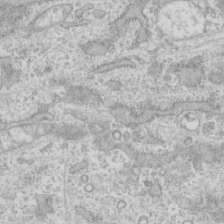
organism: Human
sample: CRL-1474